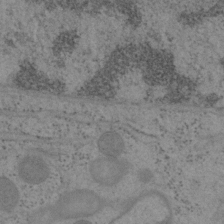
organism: Mouse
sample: OT-I killer T cells with ID8 ovarian cancer cells